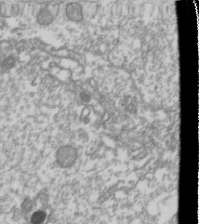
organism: Drosophila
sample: Cell division; meiosis; drosophila spermatocytes